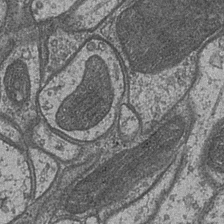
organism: Drosophila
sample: Optic medulla